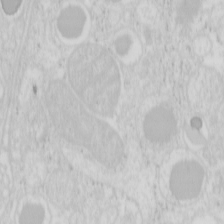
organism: Mouse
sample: Pancreas